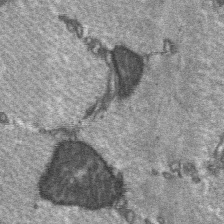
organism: C57BL Mouse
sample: Soleus